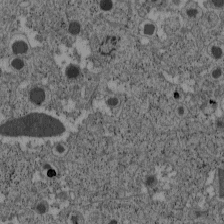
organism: C57BL Mouse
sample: Pancreatic islet